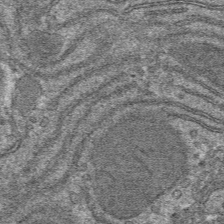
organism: Mouse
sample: Mouse hepatocytes